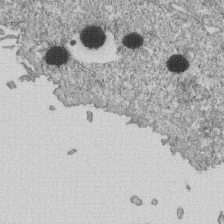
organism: Human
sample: HeLa cell HIV synapse